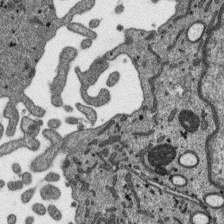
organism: Human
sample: Lung epithelial cells infected with SARS-CoV-2